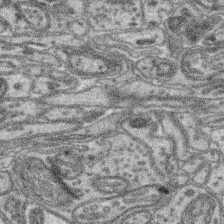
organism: Mouse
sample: Retina